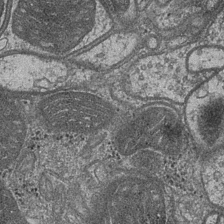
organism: Drosophila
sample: Optic medulla